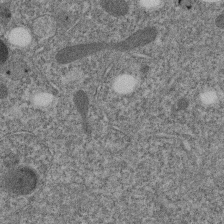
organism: C. elegans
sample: C. elegans embryo early stage